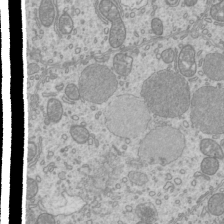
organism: Mouse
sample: Cilia; mouse epididymis